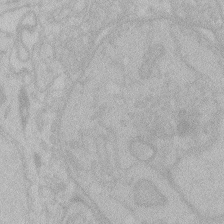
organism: Zebrafish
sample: Macrophage infected with Toxoplasma gondii